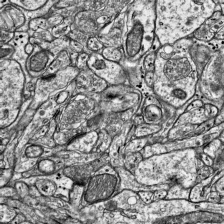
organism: Mouse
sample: Visual Cortex